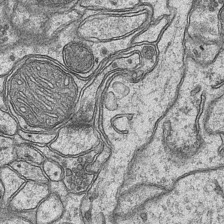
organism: Mouse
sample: CA1 Hippocampus